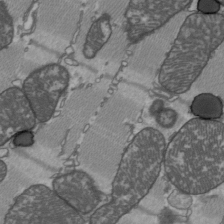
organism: C57BL Mouse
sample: Heart